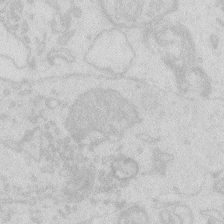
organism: Zebrafish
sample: Macrophage